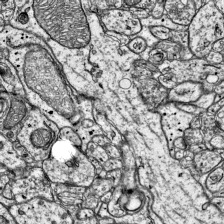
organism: Mouse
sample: Visual Cortex